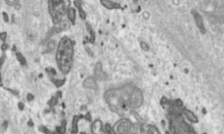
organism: Toxoplasma gondii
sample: Parasites in a vacuole inside a host cell